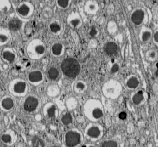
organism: C57BL Mouse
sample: Pancreatic islet